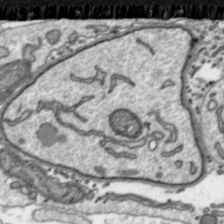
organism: Toxoplasma gondii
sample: Parasites in a vacuole inside a host cell